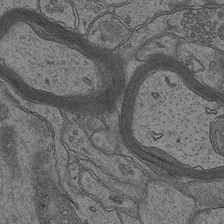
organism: Mouse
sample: CA1 Hippocampus